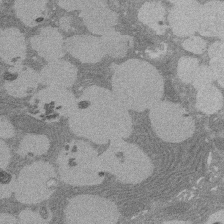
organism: Rat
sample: Salivary granule